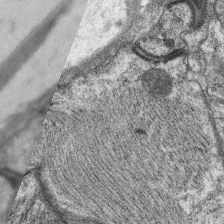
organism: C. elegans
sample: Pharynx